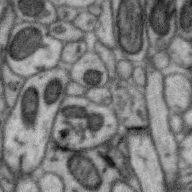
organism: Zebra finch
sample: Brain